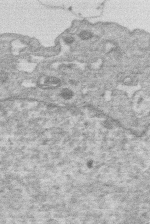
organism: Human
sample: Macrophage cells